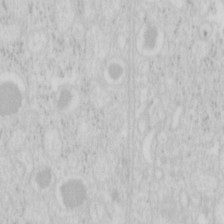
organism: Mouse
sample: Pancreas